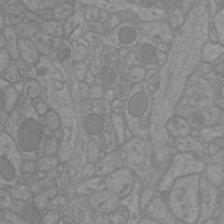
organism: Mouse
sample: Cortical neurons